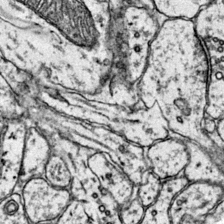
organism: Mouse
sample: Primary visual cortex